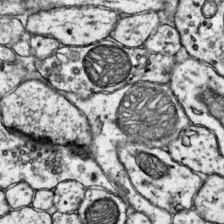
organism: Mouse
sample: Primary visual cortex